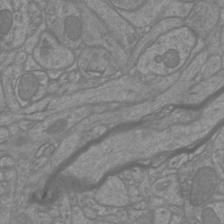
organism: Mouse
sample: Cortical neurons